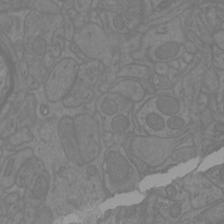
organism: Mouse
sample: Cortical neurons